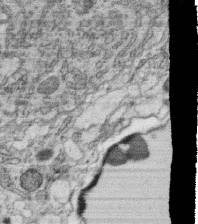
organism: C. elegans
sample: C. elegans oocyte; sperm cells